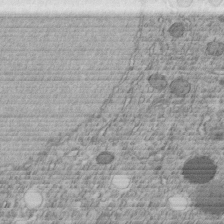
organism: C. elegans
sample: C. elegans embryo early stage